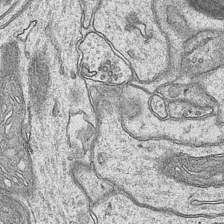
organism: Mouse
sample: CA1 Hippocampus